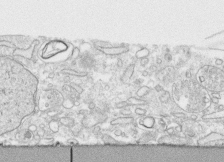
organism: Human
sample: CRL-1474